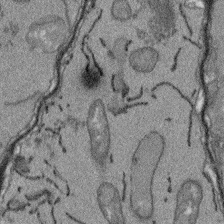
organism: Arabidopsis thaliana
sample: Root tip